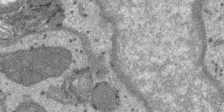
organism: Human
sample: Lung epithelial cells infected with SARS-CoV-2